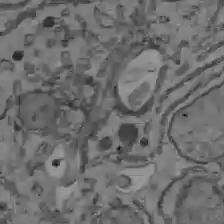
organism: C57BL Mouse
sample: Liver